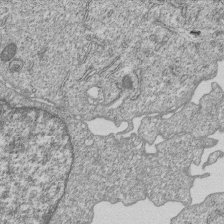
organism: Human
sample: MDA-MB-231 cells